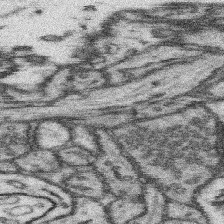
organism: Mouse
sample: Somatosensory cortex neuropil